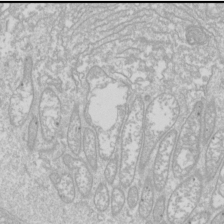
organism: Drosophila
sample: Cell division; meiosis; drosophila spermatocytes